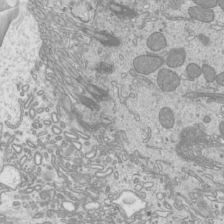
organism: Mouse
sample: Cilia; mouse epididymis